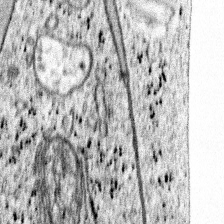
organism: Human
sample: HeLa cells